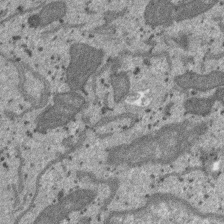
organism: Human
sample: Lung epithelial cells infected with SARS-CoV-2